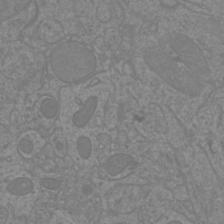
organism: Mouse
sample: Cortical neurons